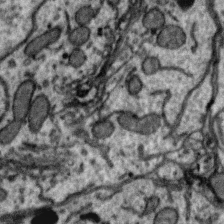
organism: Zebra finch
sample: Brain